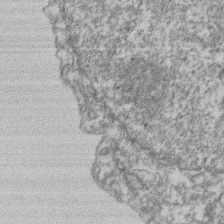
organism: Mouse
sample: T cell stromal cell synapse